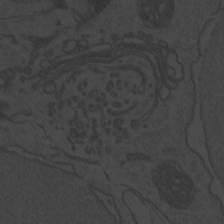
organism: Zebrafish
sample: Macrophage infected with Toxoplasma gondii